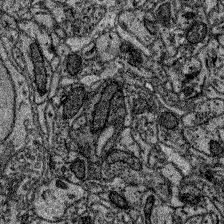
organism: Zebrafish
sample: Larval olfactory bulb